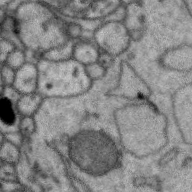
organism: Zebra finch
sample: Brain